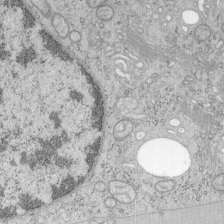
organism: Mouse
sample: OT-I killer T cells with ID8 ovarian cancer cells